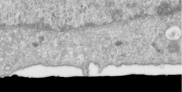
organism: Human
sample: Centriole in RPE cells